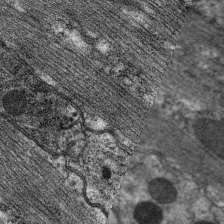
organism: C. elegans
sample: Pharynx